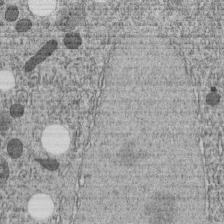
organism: C. elegans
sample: C. elegans embryo early stage